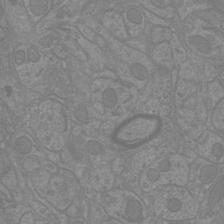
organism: Mouse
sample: Cortical neurons